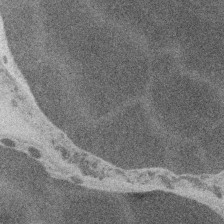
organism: Embia sp.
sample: Silk gland